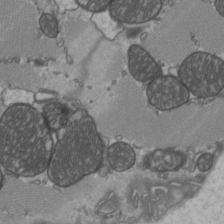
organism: C57BL Mouse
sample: Heart